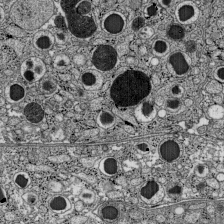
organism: C57BL Mouse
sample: Pancreatic islet